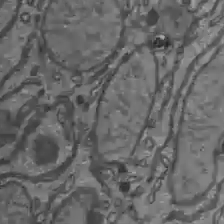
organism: C57BL Mouse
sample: Liver